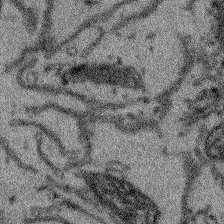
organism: Arabidopsis thaliana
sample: Root tip